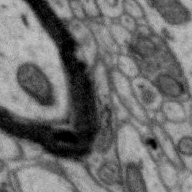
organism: Zebra finch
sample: Brain